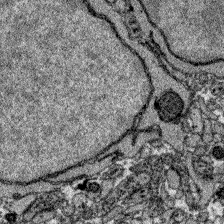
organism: Zebrafish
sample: Larval olfactory bulb